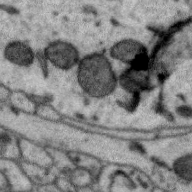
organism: Zebra finch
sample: Brain